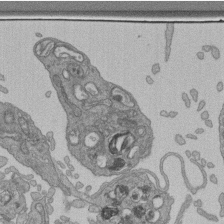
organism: Human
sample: Retinal organoid Rod and Cone cells